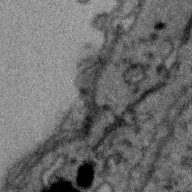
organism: Zebra finch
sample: Brain